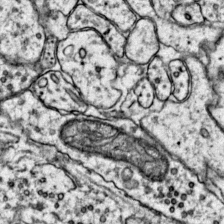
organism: Mouse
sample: Primary visual cortex